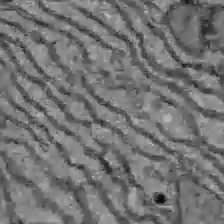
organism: C57BL Mouse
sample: Liver